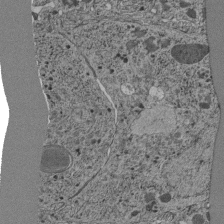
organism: C. elegans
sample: C. elegans pharynx